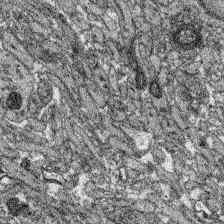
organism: Zebrafish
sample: Larval olfactory bulb